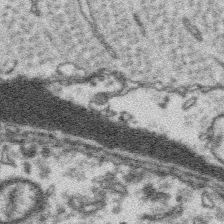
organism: Platynereis dumerilii